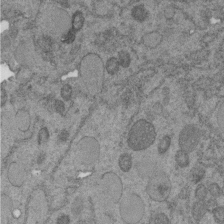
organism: C. elegans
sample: C. elegans embryo early stage